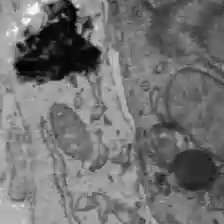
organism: C57BL Mouse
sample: Liver